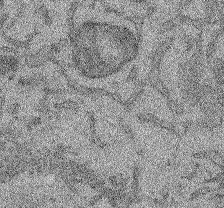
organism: Human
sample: HeLa cells